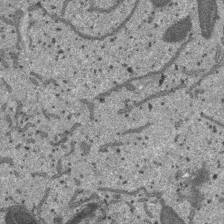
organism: Human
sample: Lung epithelial cells infected with SARS-CoV-2